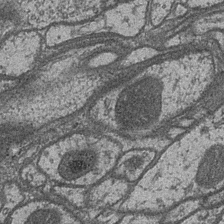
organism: Drosophila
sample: Optic medulla